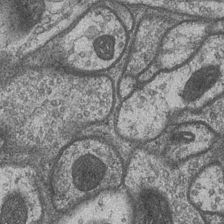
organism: Drosophila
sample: Optic medulla